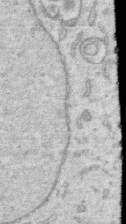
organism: Human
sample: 1205lu cells